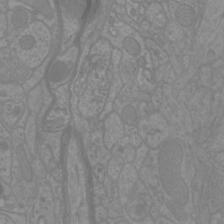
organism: Mouse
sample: Cortical neurons